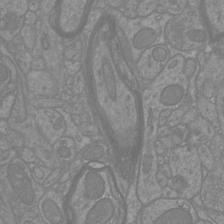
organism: Mouse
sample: Cortical neurons